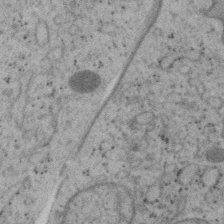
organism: Human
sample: HeLa cells